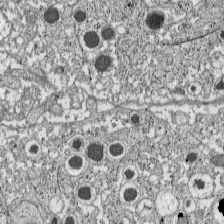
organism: C57BL Mouse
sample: Pancreatic islet